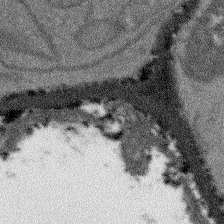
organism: Arabidopsis thaliana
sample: Root tip